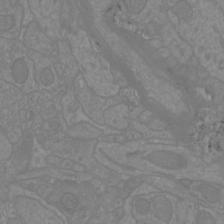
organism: Mouse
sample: Cortical neurons